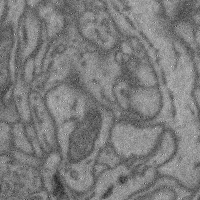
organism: Mouse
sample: Cerebral cortex